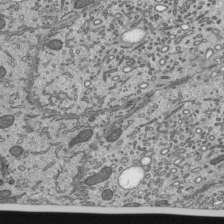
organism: Mouse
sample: Mouse epididymis efferent ductule cilia